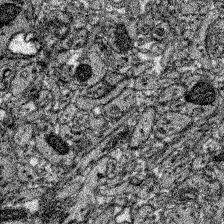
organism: Zebrafish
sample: Larval olfactory bulb